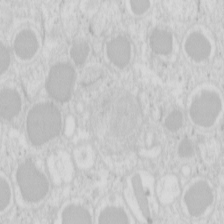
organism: Mouse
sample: Pancreas